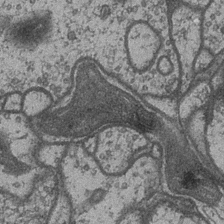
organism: Drosophila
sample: Optic medulla